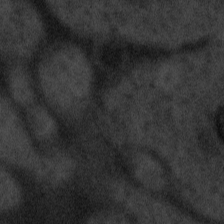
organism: Tuwongella immobilis